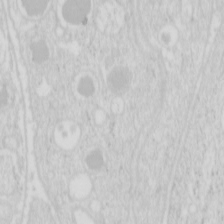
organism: Mouse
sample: Pancreas